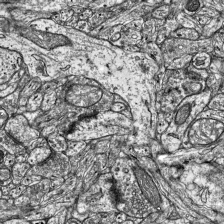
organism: Mouse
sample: Visual Cortex